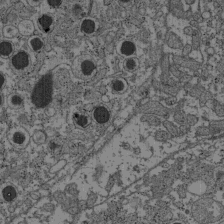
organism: C57BL Mouse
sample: Pancreatic islet